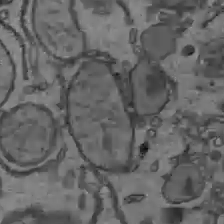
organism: C57BL Mouse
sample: Liver